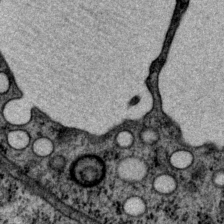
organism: P. pacificus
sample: Pharynx